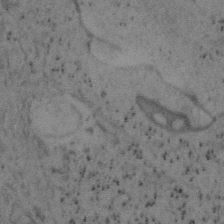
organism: Human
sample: HeLa cells